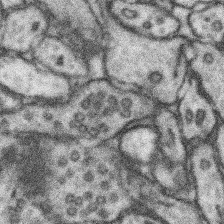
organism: Mouse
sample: Somatosensory cortex neuropil